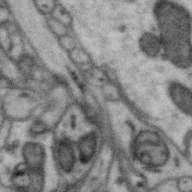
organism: Zebra finch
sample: Brain